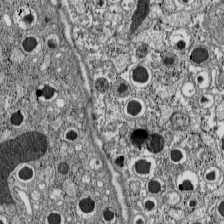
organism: C57BL Mouse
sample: Pancreatic islet